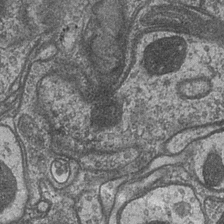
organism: Drosophila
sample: Optic medulla